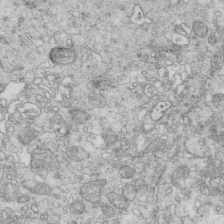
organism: Mouse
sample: Multiciliated cells